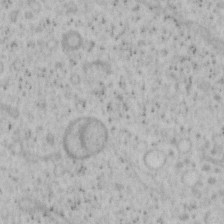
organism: Human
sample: HeLa cells